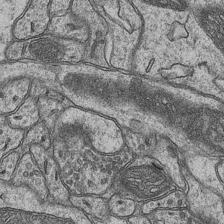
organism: Mouse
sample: CA1 Hippocampus